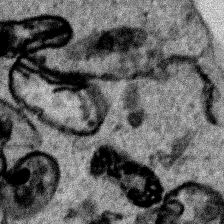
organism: Human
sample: Mitochondria in HCT116 cells